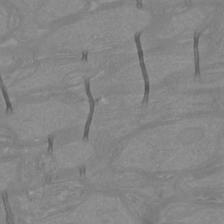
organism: Mouse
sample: Cortical neurons